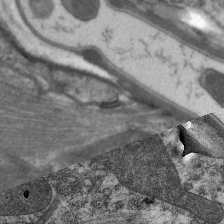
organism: C. elegans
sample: Pharynx